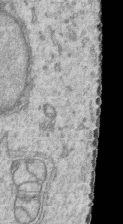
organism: Human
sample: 1205lu cells